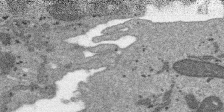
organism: Human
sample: Lung epithelial cells infected with SARS-CoV-2